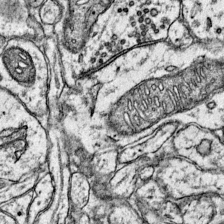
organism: Mouse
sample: Primary visual cortex